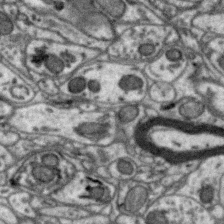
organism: Zebra finch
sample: Brain